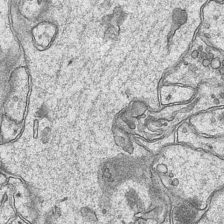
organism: Mouse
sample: CA1 Hippocampus